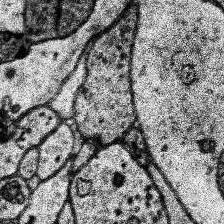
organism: Human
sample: Temporal Lobe